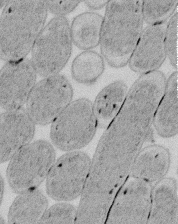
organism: E. coli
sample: Bacterial nucleoid